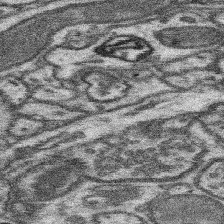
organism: Mouse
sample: Somatosensory cortex neuropil